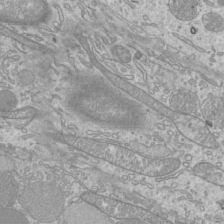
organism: Mouse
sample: Cilia; mouse epididymis